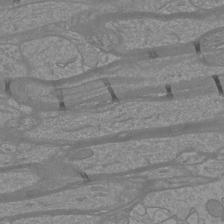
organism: Mouse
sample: Cortical neurons